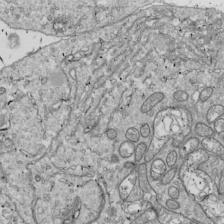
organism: Drosophila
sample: Cell division; meiosis; drosophila spermatocytes